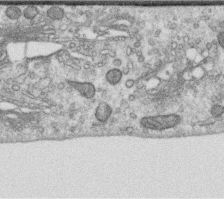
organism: Human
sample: Centriole in RPE cells